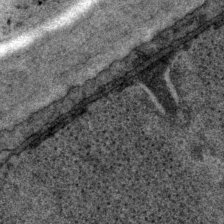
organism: P. pacificus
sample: Pharynx